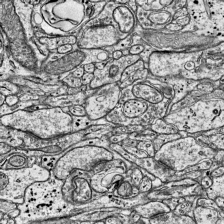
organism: Mouse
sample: Visual Cortex